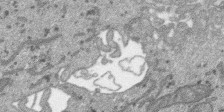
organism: Human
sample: Lung epithelial cells infected with SARS-CoV-2